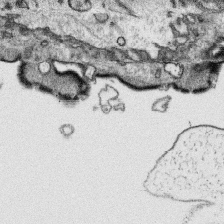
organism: Platynereis dumerilii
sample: Parapodia